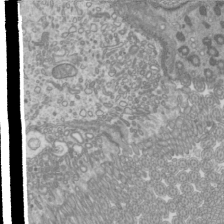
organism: Mouse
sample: Cilia; mouse epididymis